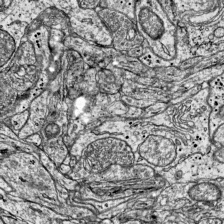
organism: Mouse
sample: Visual Cortex